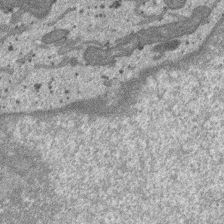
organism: Human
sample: Lung epithelial cells infected with SARS-CoV-2